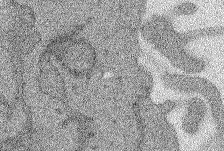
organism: Human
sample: HeLa cells